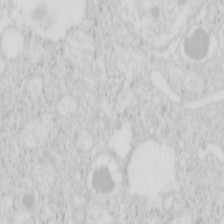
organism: Mouse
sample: Pancreas